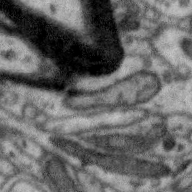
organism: Zebra finch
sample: Brain